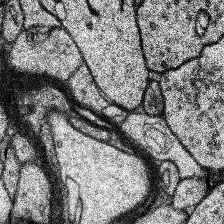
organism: Human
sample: Temporal Lobe